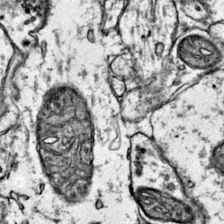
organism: Mouse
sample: Primary visual cortex